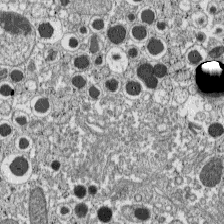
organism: C57BL Mouse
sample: Pancreatic islet